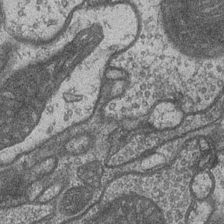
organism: Drosophila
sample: Optic medulla